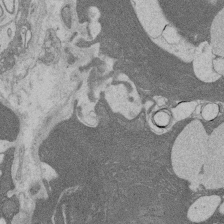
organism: Rat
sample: Salivary granule